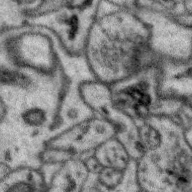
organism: Zebra finch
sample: Brain